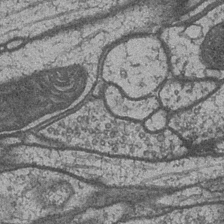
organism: Drosophila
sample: Optic medulla